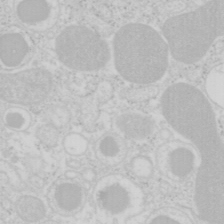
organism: Mouse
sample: Pancreas